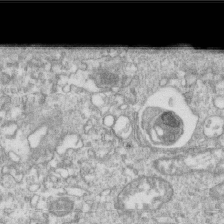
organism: Mouse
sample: Activated OT-1 CD8+ T cells